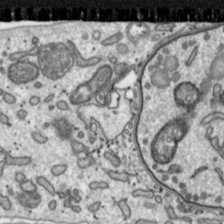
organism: Toxoplasma gondii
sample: Parasites in a vacuole inside a host cell